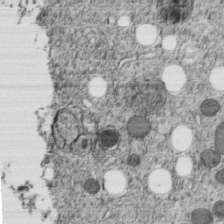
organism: C. elegans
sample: C. elegans embryo early stage